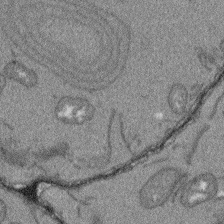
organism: Arabidopsis thaliana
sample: Root tip